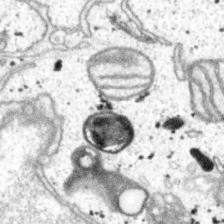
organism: Human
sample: HeLa cells